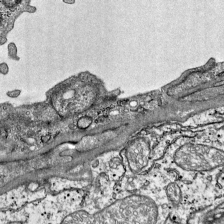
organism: Mouse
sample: Visual Cortex